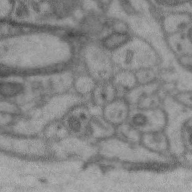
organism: Zebra finch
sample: Brain